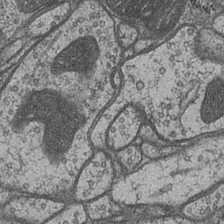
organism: Drosophila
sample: Optic medulla